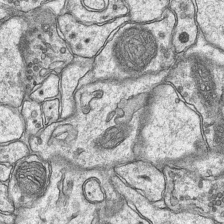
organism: Mouse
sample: CA1 Hippocampus